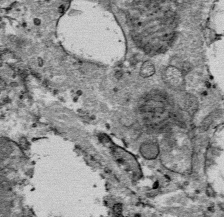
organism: Mouse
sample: Mouse Salivary gland